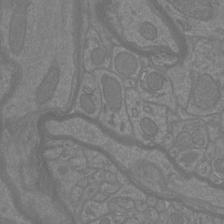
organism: Mouse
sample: Cortical neurons